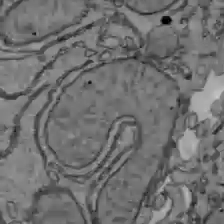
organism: C57BL Mouse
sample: Liver